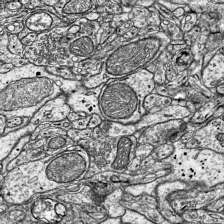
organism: Mouse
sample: Visual Cortex